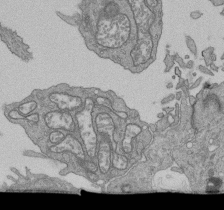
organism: Human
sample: Retinal organoid Rod and Cone cells